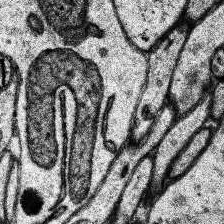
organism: Human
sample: Temporal Lobe